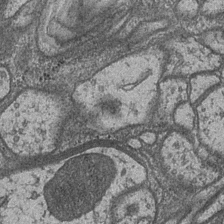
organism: Drosophila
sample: Optic medulla